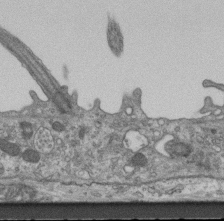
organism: Mouse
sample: Centriole in ependymal cells